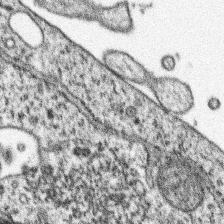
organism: Human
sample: HeLa cells